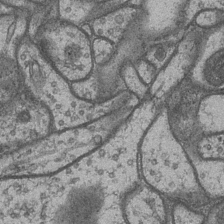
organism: Drosophila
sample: Optic medulla